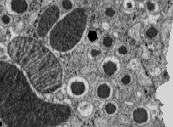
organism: C57BL Mouse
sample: Pancreatic islet